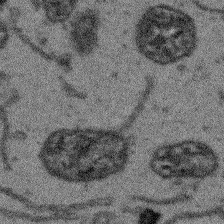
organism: Arabidopsis thaliana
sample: Root tip